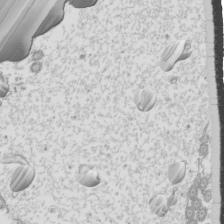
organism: Mouse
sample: Cilia; mouse epididymis